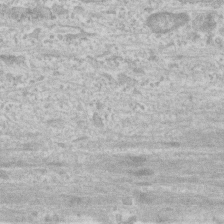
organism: Human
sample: CRL-1474